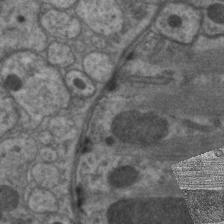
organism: C. elegans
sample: Pharynx